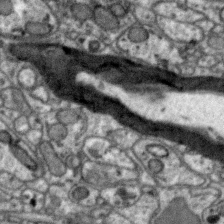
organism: Zebra finch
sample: Brain